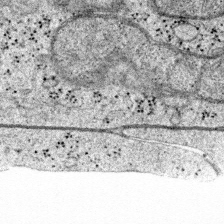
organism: Human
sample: HeLa cells